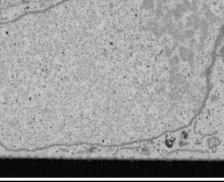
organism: Human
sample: Mitochondria in U2OS cells